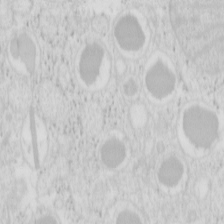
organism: Mouse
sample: Pancreas